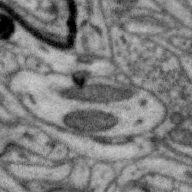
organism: Zebra finch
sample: Brain